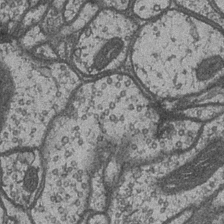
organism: Drosophila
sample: Optic medulla